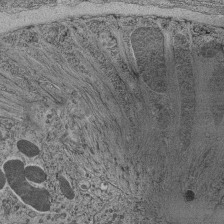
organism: C. elegans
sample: C. elegans pharynx